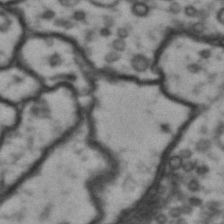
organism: Drosophila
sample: Brain